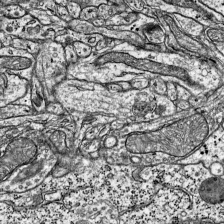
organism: Mouse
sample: Visual Cortex